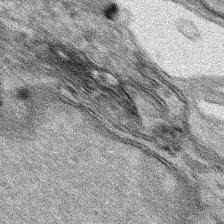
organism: Human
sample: Mitochondria in HCT116 cells